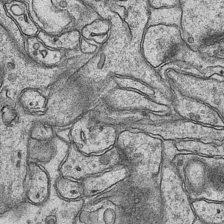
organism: Mouse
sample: CA1 Hippocampus